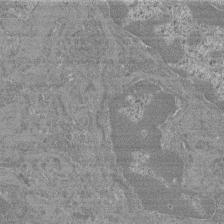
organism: Mouse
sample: Glomerulus